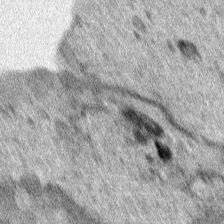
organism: Human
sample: Mitochondria in HCT116 cells